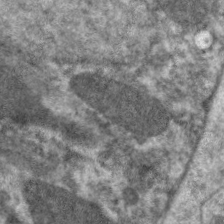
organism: C. elegans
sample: Pharynx